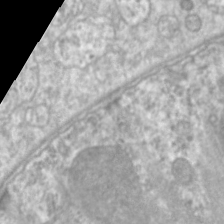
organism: C. elegans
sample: Pharynx